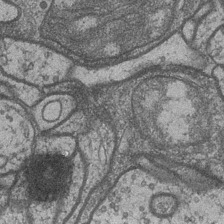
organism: Drosophila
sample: Optic medulla